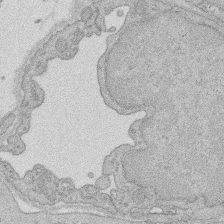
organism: Rat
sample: Salivary granule